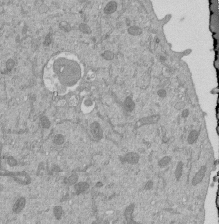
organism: Mouse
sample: ED-1 cell nuclei; centrioles